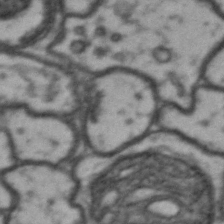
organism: Drosophila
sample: Brain